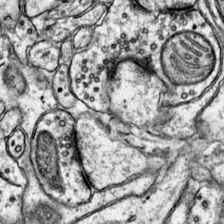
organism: Mouse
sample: Primary visual cortex